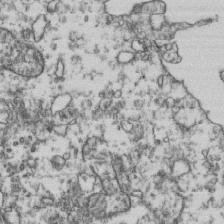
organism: Human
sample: Activated Jurkat CD4+ T cells